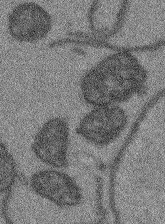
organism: Arabidopsis thaliana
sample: Root tip